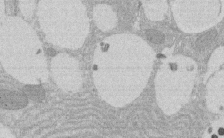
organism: Rat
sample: Salivary granule